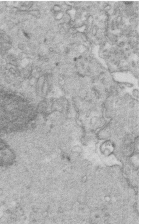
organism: Mouse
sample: Multiciliated cells